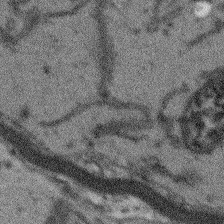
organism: Arabidopsis thaliana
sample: Root tip